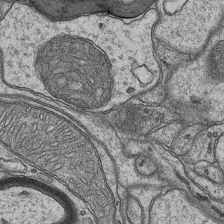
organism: Mouse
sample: CA1 Hippocampus